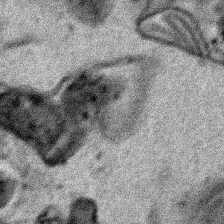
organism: Human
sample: Mitochondria in HCT116 cells